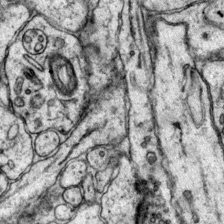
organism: Mouse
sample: Primary visual cortex